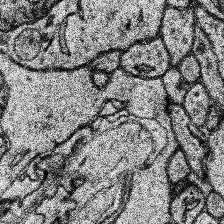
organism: Human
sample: Temporal Lobe